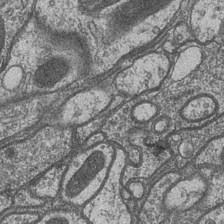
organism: Drosophila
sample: Optic medulla